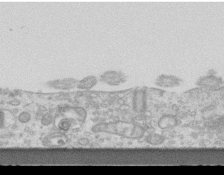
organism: Mouse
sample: Centriole in ependymal cells